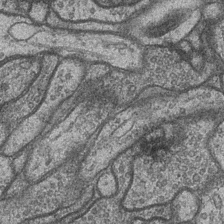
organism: Drosophila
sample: Optic medulla